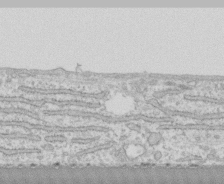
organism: Human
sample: CRL-1474